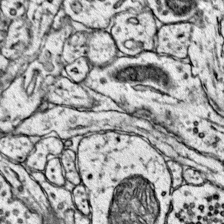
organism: Mouse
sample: Primary visual cortex